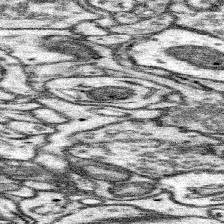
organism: Mouse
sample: Somatosensory cortex neuropil